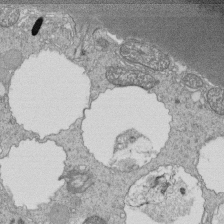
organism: Tetrahymena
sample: Cilia in tetrahymena